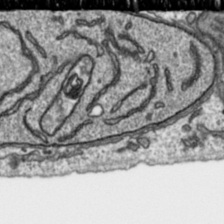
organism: Toxoplasma gondii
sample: Parasites in a vacuole inside a host cell